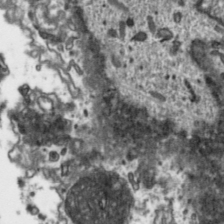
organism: Toxoplasma gondii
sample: Parasites in a vacuole inside a host cell